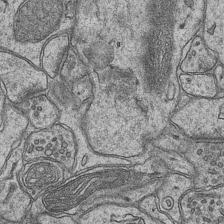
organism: Mouse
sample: CA1 Hippocampus